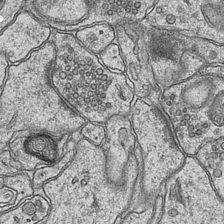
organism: Mouse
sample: CA1 Hippocampus